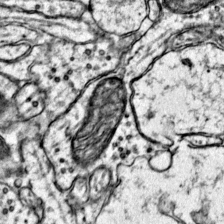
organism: Mouse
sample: Primary visual cortex